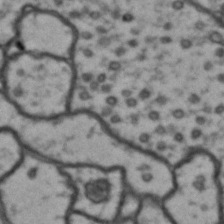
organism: Drosophila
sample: Brain